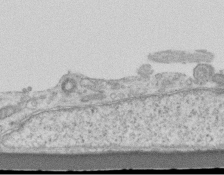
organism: Mouse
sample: Centriole in ependymal cells